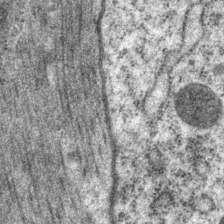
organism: P. pacificus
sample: Pharynx